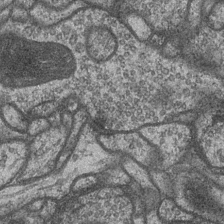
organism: Drosophila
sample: Optic medulla